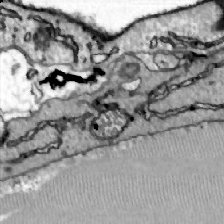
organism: Zebrafish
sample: Actinotrichia fibers